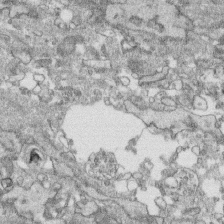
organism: Human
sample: CRL-1474